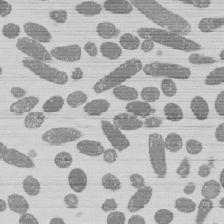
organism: E. coli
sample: Bacterial nucleoid